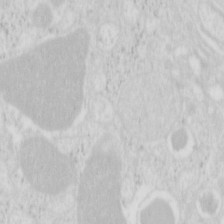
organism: Mouse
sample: Pancreas